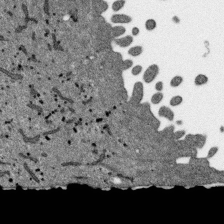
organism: Human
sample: Lung epithelial cells, uninfected (mock) control